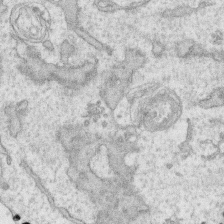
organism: Human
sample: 1205lu cells